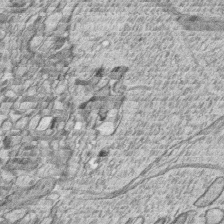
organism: Zebrafish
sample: synaptic ribbons in rod cells and cone cells